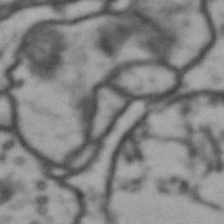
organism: Drosophila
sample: Brain